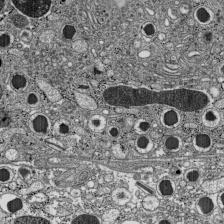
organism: C57BL Mouse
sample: Pancreatic islet